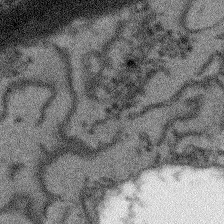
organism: Arabidopsis thaliana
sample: Root tip